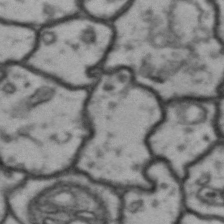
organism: Drosophila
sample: Brain